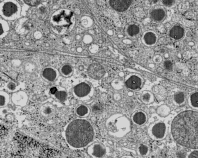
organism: C57BL Mouse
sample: Pancreatic islet